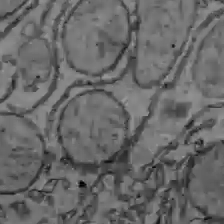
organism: C57BL Mouse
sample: Liver